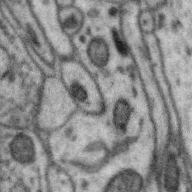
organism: Zebra finch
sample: Brain